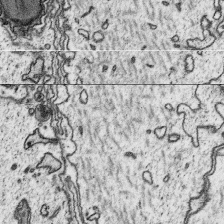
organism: Platynereis dumerilii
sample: Parapodia